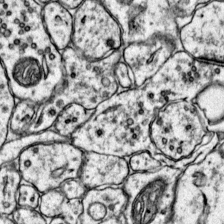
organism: Mouse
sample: Primary visual cortex